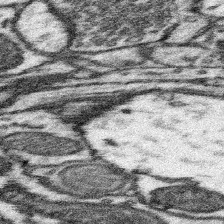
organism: Mouse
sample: Somatosensory cortex neuropil